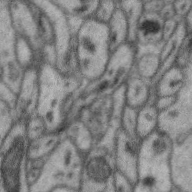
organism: Zebra finch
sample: Brain